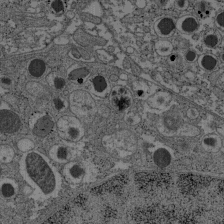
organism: C57BL Mouse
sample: Pancreatic islet